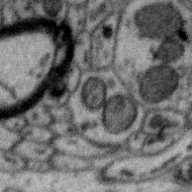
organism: Zebra finch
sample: Brain